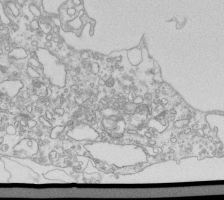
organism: Mouse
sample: Macrophages